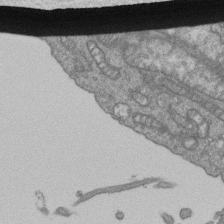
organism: Human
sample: Retinal organoid Rod and Cone cells